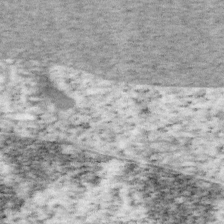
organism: Mouse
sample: OT-I killer T cells with ID8 ovarian cancer cells